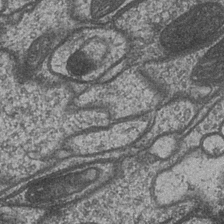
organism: Drosophila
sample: Optic medulla